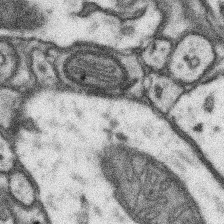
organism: Mouse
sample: Somatosensory cortex neuropil